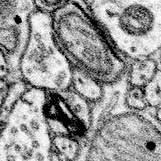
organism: Mouse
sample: Somatosensory cortex neuropil